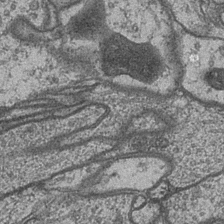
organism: Drosophila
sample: Optic medulla